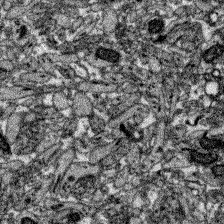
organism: Zebrafish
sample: Larval olfactory bulb